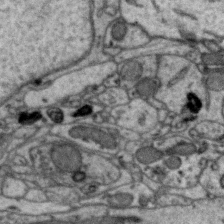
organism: Zebra finch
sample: Brain